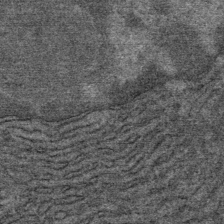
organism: Mouse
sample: Mouse Salivary gland